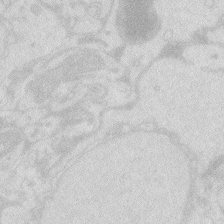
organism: Zebrafish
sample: Macrophage